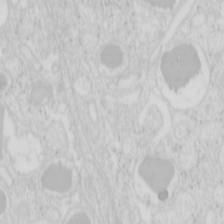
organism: Mouse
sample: Pancreas